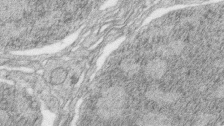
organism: Zebrafish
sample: synaptic ribbons in rod cells and cone cells